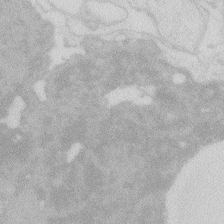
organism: Zebrafish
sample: Macrophage